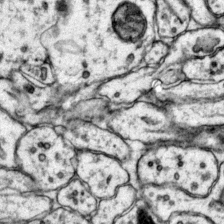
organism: Mouse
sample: Primary visual cortex